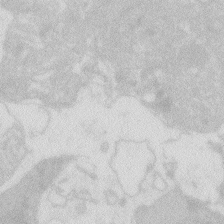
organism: Zebrafish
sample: Macrophage